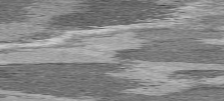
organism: C57BL Mouse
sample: Heart